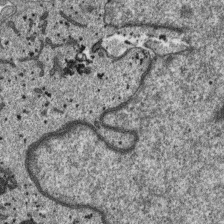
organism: Human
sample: Lung epithelial cells infected with SARS-CoV-2